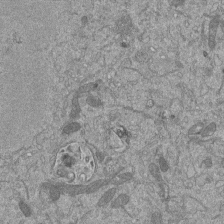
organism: Mouse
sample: ED-1 cell nuclei; centrioles